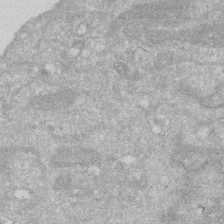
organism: Human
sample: HIV infected U937 cells